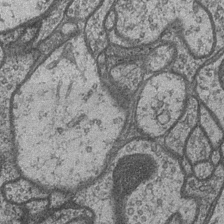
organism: Drosophila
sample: Optic medulla